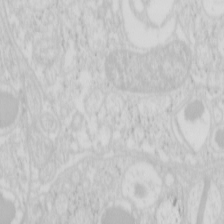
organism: Mouse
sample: Pancreas